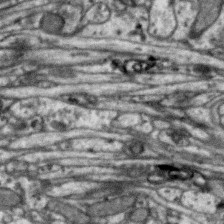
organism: Zebra finch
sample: Brain